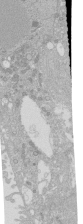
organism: Human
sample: Caco-2 cells